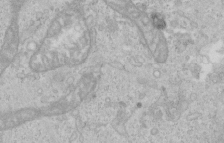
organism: Human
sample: Centriole in RPE cells